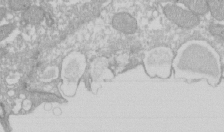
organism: Xenopus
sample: Cilia; centrioles in frog embryo cells